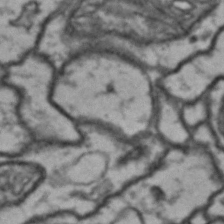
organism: Drosophila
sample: Brain